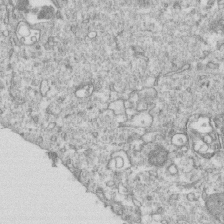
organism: Mouse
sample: Activated OT-1 CD8+ T cells